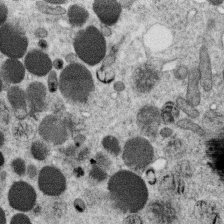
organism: C. elegans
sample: C. elegans oocyte; sperm cells